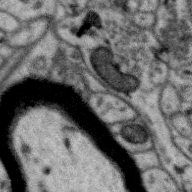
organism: Zebra finch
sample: Brain